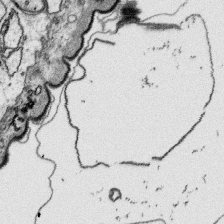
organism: Platynereis dumerilii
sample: Parapodia